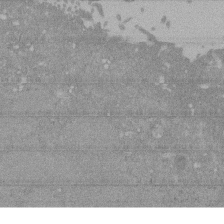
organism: Mouse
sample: ED-1 cell nuclei; centrioles